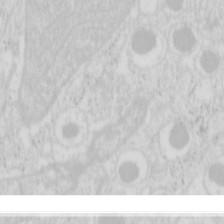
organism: Mouse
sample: Pancreas